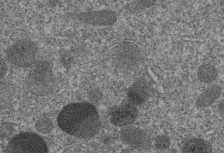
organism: C. elegans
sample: C. elegans embryo early stage